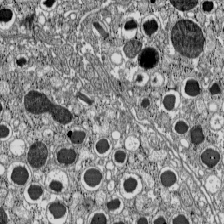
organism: C57BL Mouse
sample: Pancreatic islet